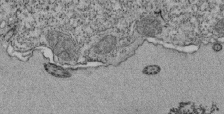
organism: Tetrahymena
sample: Cilia in tetrahymena